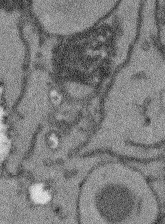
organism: Arabidopsis thaliana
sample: Root tip